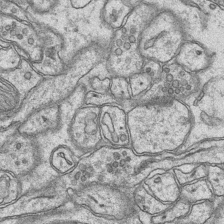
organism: Mouse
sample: CA1 Hippocampus